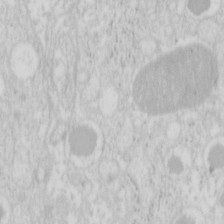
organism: Mouse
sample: Pancreas